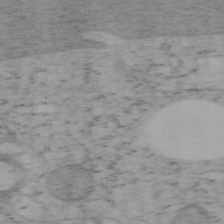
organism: Mouse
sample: OT-I killer T cells with ID8 ovarian cancer cells